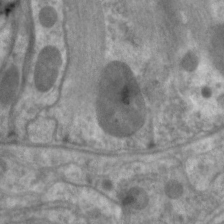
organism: C. elegans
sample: Pharynx